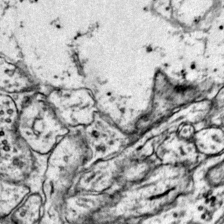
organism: Mouse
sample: Primary visual cortex